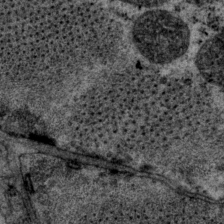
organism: P. pacificus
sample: Pharynx